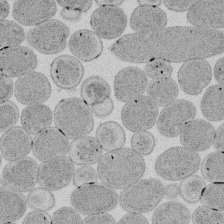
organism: E. coli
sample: Bacterial nucleoid